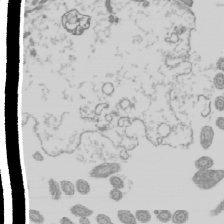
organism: Mouse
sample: Cilia; mouse epididymis